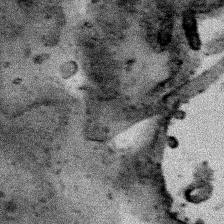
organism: Human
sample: Mitochondria in HCT116 cells